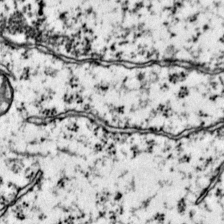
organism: Mouse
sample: Primary visual cortex